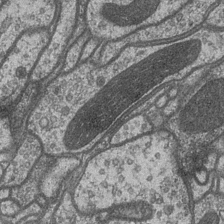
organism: Drosophila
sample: Optic medulla